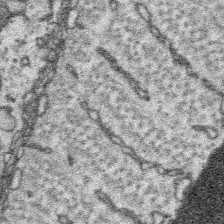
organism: Platynereis dumerilii